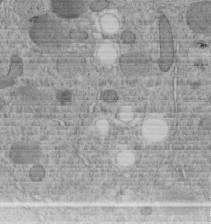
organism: C. elegans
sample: C. elegans embryo early stage